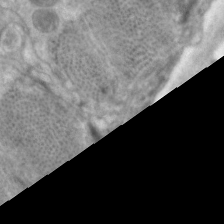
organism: C. elegans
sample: Pharynx